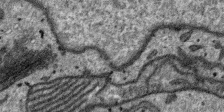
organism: Human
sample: Lung epithelial cells, uninfected (mock) control